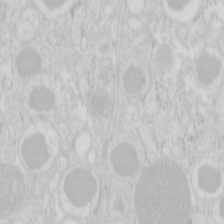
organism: Mouse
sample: Pancreas